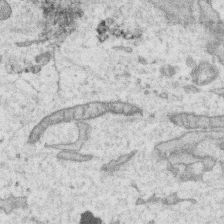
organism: Human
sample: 1205lu cells